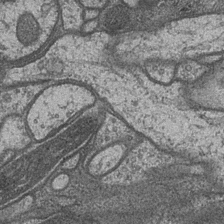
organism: Drosophila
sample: Optic medulla